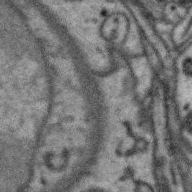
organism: Zebra finch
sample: Brain